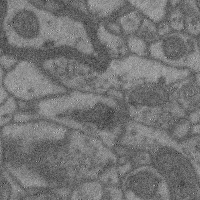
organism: Mouse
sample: Cerebral cortex